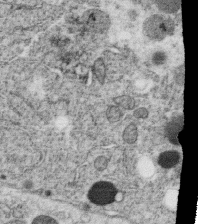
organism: C. elegans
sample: C. elegans oocyte; sperm cells